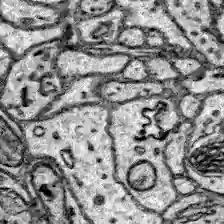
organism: Zebrafish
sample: Brain